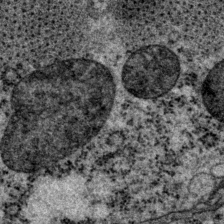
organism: P. pacificus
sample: Pharynx